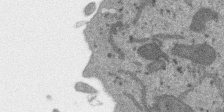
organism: Human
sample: Lung epithelial cells infected with SARS-CoV-2